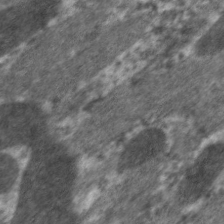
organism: C. elegans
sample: Pharynx